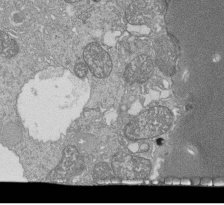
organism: Tetrahymena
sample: Cilia in tetrahymena